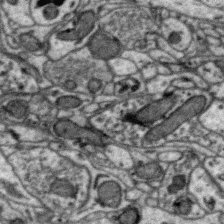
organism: Zebra finch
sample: Brain